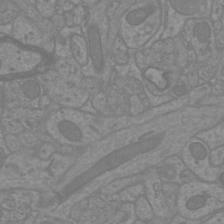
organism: Mouse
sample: Cortical neurons